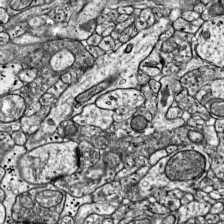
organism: Mouse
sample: Visual Cortex